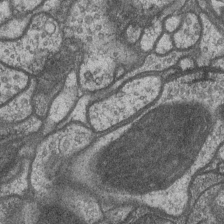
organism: Drosophila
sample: Optic medulla